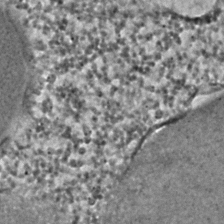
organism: C. elegans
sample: C. elegans embryo